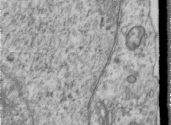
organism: Human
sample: Centriole in RPE cells